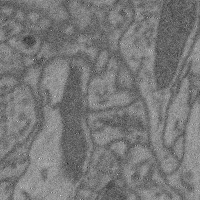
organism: Mouse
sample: Cerebral cortex